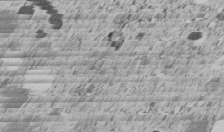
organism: C. elegans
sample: C. elegans embryo early stage